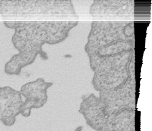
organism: Human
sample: MDA-MB-231 cells